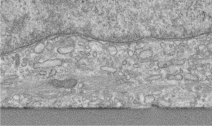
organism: Human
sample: Centriole in RPE cells